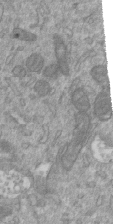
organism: Mouse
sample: ED-1 cell nuclei; centrioles